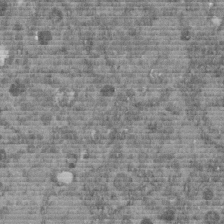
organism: C. elegans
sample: C. elegans embryo early stage